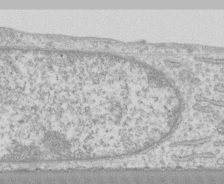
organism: Human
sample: CRL-1474